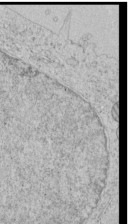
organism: Human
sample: Mitochondria in HCT116 cells